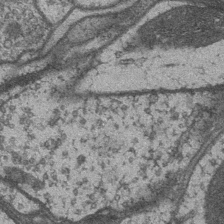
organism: Drosophila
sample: Optic medulla